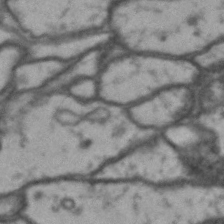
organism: Drosophila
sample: Brain